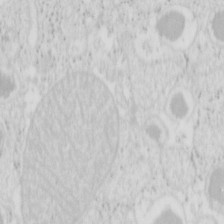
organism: Mouse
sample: Pancreas